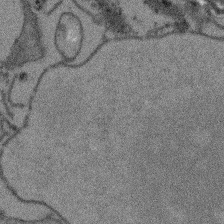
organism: Arabidopsis thaliana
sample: Root tip